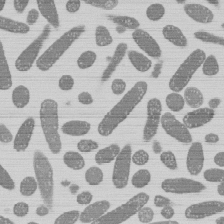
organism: E. coli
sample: Bacterial nucleoid